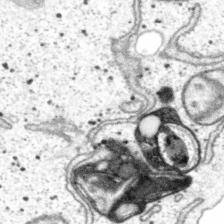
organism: Human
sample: HeLa cells